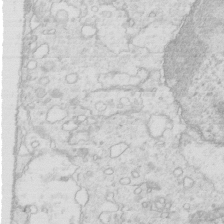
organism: Mouse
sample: Multiciliated cells